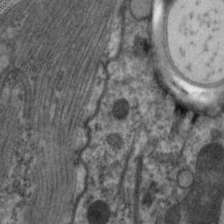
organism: C. elegans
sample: Pharynx